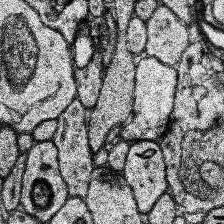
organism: Human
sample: Temporal Lobe